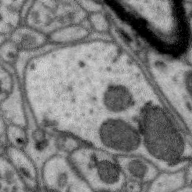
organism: Zebra finch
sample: Brain